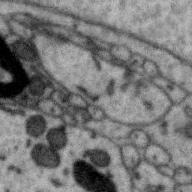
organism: Zebra finch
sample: Brain